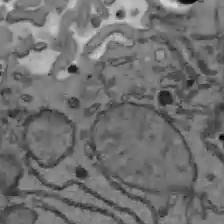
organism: C57BL Mouse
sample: Liver